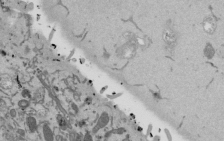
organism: Mouse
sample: ED-1 cell nuclei; centrioles